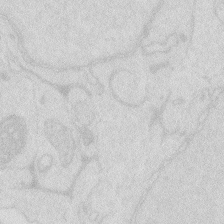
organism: Zebrafish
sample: Macrophage